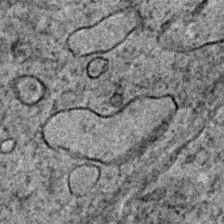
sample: Trachea